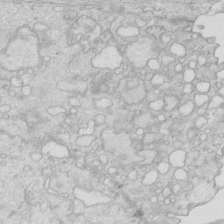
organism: Mouse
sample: Multiciliated cells